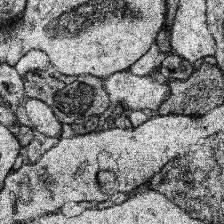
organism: Human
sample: Temporal Lobe